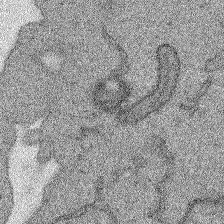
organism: Human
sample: HeLa cells